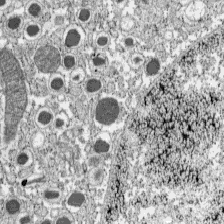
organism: C57BL Mouse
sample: Pancreatic islet